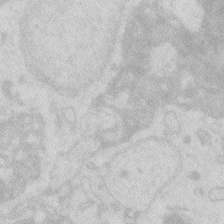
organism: Zebrafish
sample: Macrophage